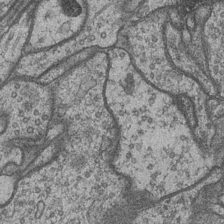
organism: Drosophila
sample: Optic medulla